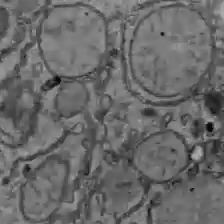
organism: C57BL Mouse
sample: Liver